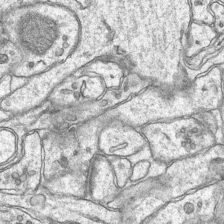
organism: Mouse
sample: CA1 Hippocampus